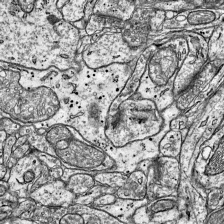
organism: Mouse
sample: Visual Cortex